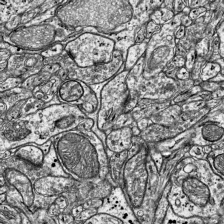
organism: Mouse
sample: Visual Cortex